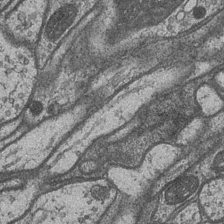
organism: Drosophila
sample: Optic medulla